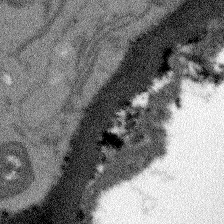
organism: Arabidopsis thaliana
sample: Root tip